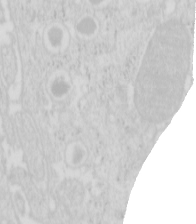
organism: Mouse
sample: Pancreas